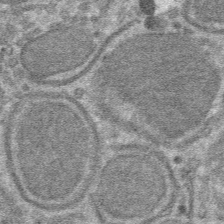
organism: Mouse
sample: Mouse hepatocytes